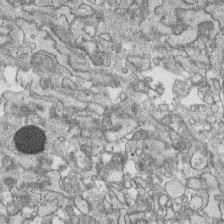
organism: Human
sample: CRL-1474